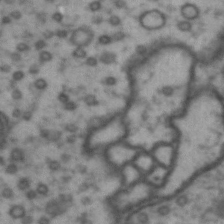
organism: Drosophila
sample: Brain